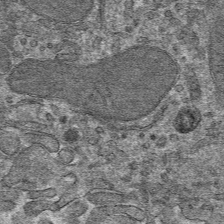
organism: Mouse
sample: Mouse hepatocytes